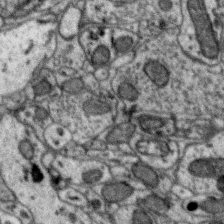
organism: Zebra finch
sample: Brain